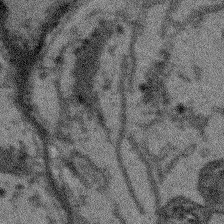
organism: Arabidopsis thaliana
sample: Root tip